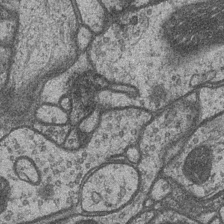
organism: Drosophila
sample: Optic medulla